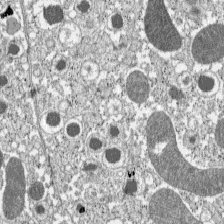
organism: C57BL Mouse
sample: Pancreatic islet